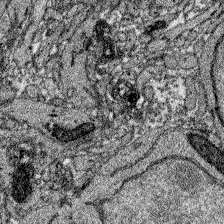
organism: Zebrafish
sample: Larval olfactory bulb